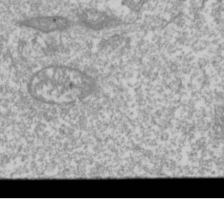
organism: Drosophila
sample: Cell division; meiosis; drosophila spermatocytes